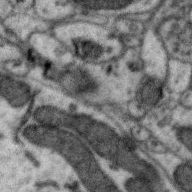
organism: Zebra finch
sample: Brain